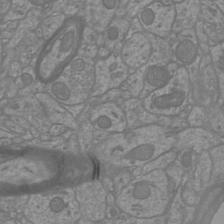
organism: Mouse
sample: Cortical neurons